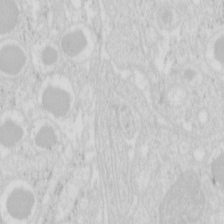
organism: Mouse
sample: Pancreas